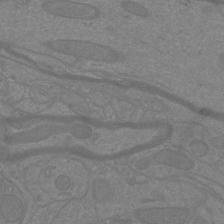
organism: Mouse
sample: Cortical neurons